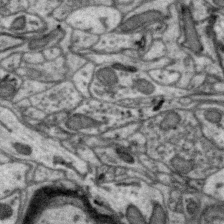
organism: Zebra finch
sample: Brain